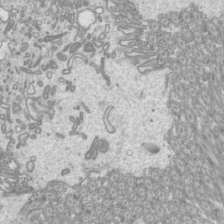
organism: Mouse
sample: Cilia; mouse epididymis